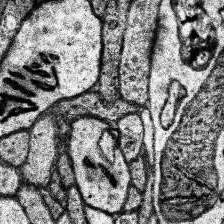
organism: Human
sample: Temporal Lobe